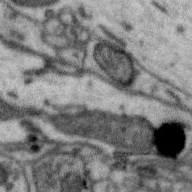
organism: Zebra finch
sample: Brain